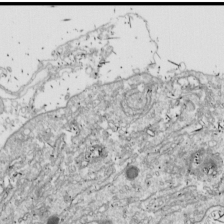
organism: Drosophila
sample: Cell division; meiosis; drosophila spermatocytes